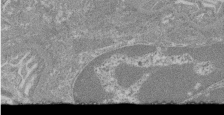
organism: Mouse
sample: Glomerulus